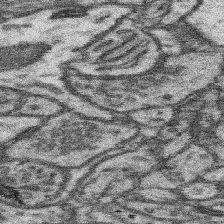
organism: Mouse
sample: Somatosensory cortex neuropil